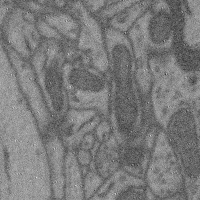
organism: Mouse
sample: Cerebral cortex